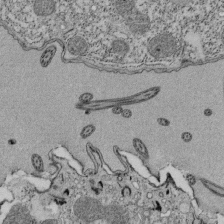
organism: Tetrahymena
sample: Cilia in tetrahymena